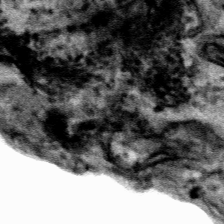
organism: Human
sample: Mitochondria in HCT116 cells